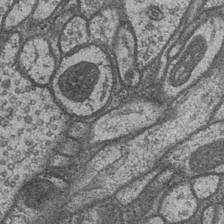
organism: Drosophila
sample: Optic medulla